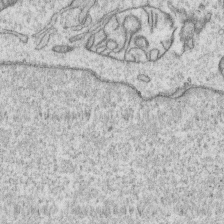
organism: Human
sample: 1205lu cells